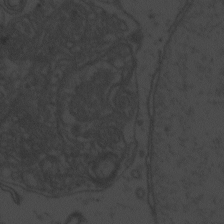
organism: Zebrafish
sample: Macrophage infected with Toxoplasma gondii